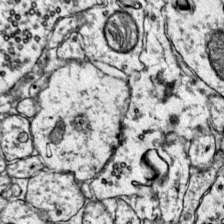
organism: Mouse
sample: Primary visual cortex